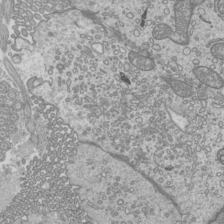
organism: Mouse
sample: Cilia; mouse epididymis